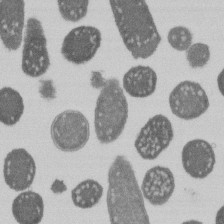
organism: E. coli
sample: Bacterial nucleoid